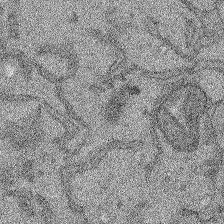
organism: Human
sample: HeLa cells